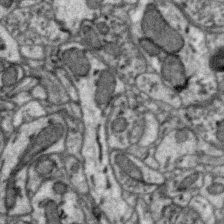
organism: Zebra finch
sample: Brain